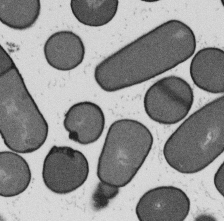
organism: B. subtilis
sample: Bacterial spore